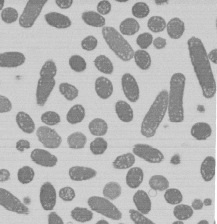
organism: E. coli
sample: Bacterial nucleoid